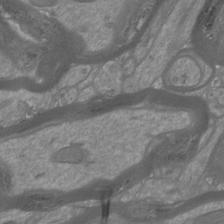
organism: Mouse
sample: Cortical neurons